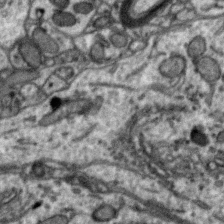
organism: Zebra finch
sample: Brain